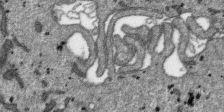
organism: Human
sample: Lung epithelial cells, uninfected (mock) control